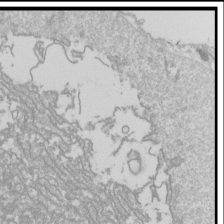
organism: Drosophila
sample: Cell division; meiosis; drosophila spermatocytes